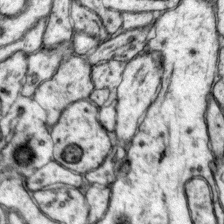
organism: Mouse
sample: Primary visual cortex